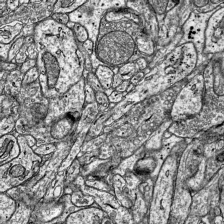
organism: Mouse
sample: Visual Cortex